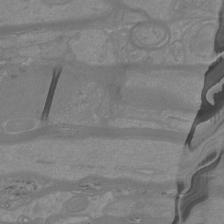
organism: Mouse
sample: Cortical neurons